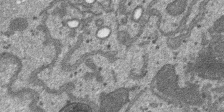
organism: Human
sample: Lung epithelial cells infected with SARS-CoV-2